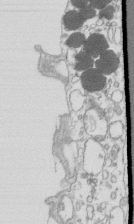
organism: Mouse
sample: Macrophages